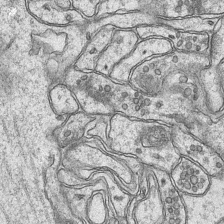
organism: Mouse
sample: CA1 Hippocampus